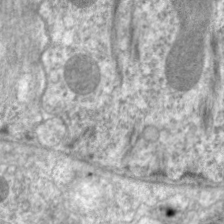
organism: C. elegans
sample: Pharynx